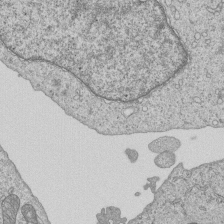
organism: Human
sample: MDA-MB-231 cells